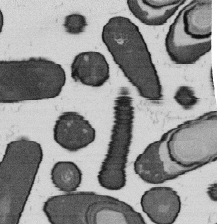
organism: B. subtilis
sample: Bacterial spore